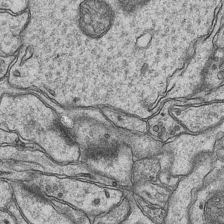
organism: Mouse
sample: CA1 Hippocampus